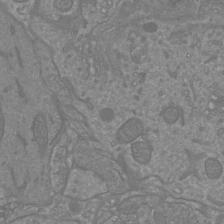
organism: Mouse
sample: Cortical neurons